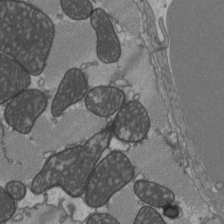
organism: C57BL Mouse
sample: Heart